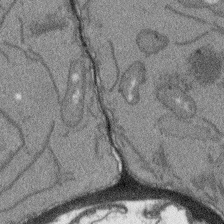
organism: Arabidopsis thaliana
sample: Root tip